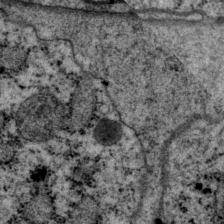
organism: P. pacificus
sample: Pharynx